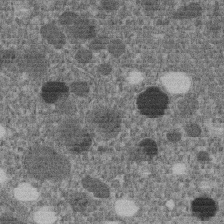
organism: C. elegans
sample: C. elegans embryo early stage